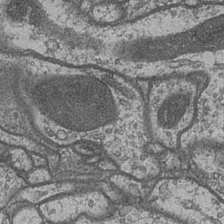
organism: Drosophila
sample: Optic medulla